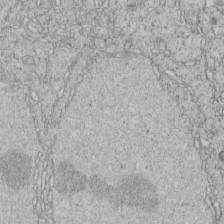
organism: C. elegans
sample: C. elegans embryo early stage